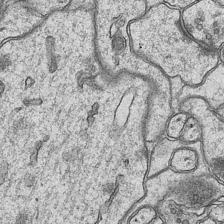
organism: Mouse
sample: CA1 Hippocampus